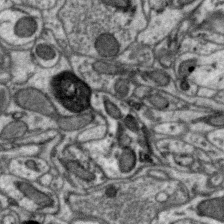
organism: Zebra finch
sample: Brain